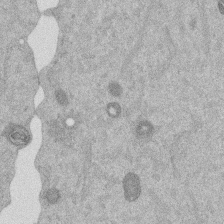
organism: Mouse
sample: Dividing mouse embryo 1 cell stage